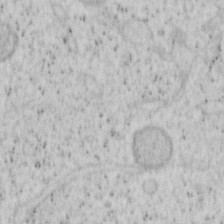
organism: Human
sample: HeLa cells